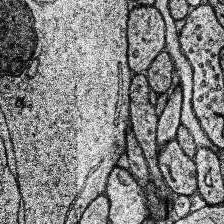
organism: Human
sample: Temporal Lobe